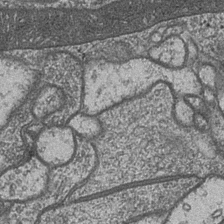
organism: Drosophila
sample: Optic medulla